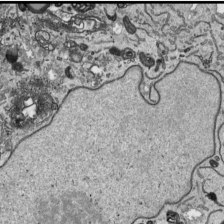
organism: Human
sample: Mitochondria in HCT116 cells